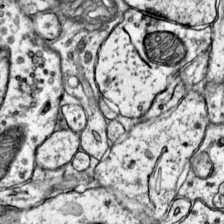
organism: Mouse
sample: Primary visual cortex